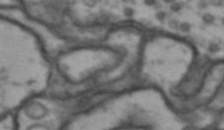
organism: Drosophila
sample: Brain